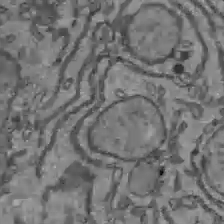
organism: C57BL Mouse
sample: Liver